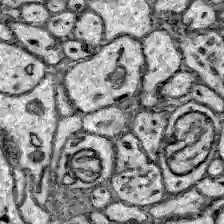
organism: Zebrafish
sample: Brain